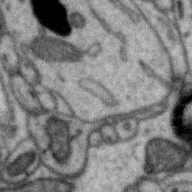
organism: Zebra finch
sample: Brain